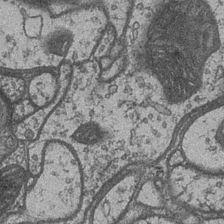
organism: Drosophila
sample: Optic medulla